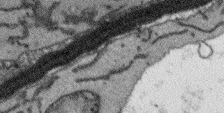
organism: Arabidopsis thaliana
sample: Root tip